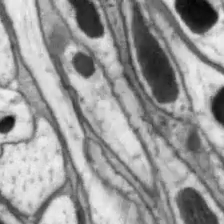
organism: Drosophila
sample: Optic lobe